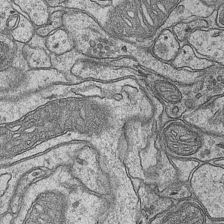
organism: Mouse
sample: CA1 Hippocampus